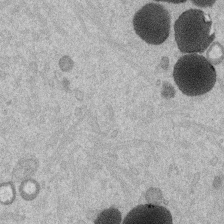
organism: Mouse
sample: Dividing mouse embryo 1 cell stage